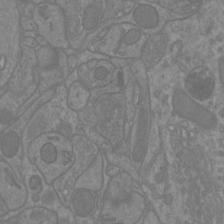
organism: Mouse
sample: Cortical neurons